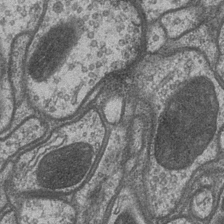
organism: Drosophila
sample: Optic medulla